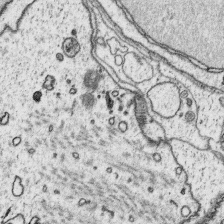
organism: Platynereis dumerilii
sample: Parapodia